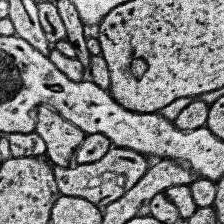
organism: Human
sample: Temporal Lobe